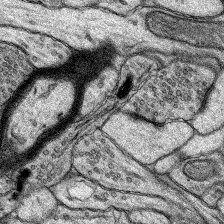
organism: Rat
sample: Hippocampus